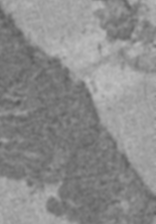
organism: C57BL Mouse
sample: Heart